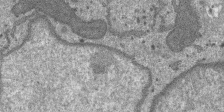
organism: Human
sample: Lung epithelial cells infected with SARS-CoV-2